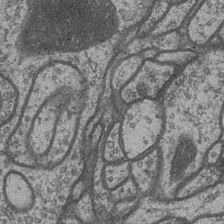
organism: Drosophila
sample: Optic medulla